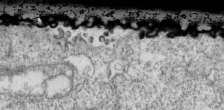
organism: Human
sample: HeLa cell HIV synapse